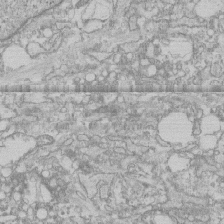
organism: Human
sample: CRL-1474